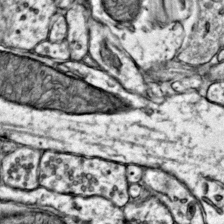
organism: Mouse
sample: Primary visual cortex